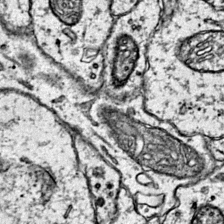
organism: Mouse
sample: Primary visual cortex